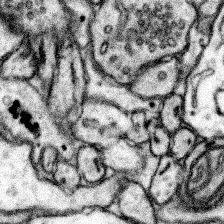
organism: Mouse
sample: Somatosensory cortex neuropil